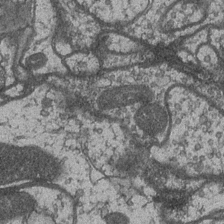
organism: Drosophila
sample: Optic medulla